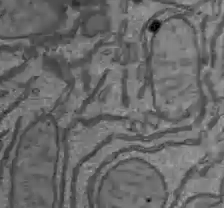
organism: C57BL Mouse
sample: Liver